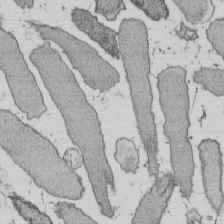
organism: E. coli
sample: Bacterial nucleoid